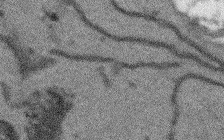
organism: Arabidopsis thaliana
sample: Root tip